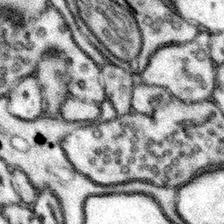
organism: Mouse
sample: Somatosensory cortex neuropil